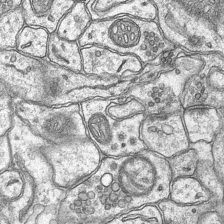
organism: Mouse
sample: CA1 Hippocampus